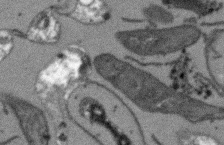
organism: Arabidopsis thaliana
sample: Root tip